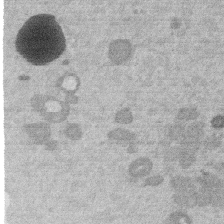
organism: Mouse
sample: Dividing mouse embryo 1 cell stage